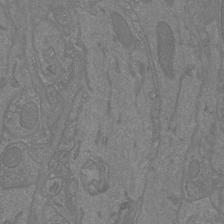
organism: Mouse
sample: Cortical neurons